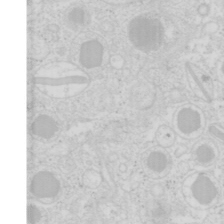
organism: Mouse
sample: Pancreas